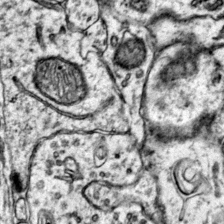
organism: Mouse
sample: Primary visual cortex